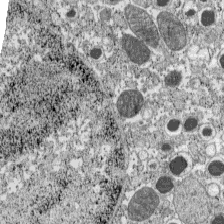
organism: C57BL Mouse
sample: Pancreatic islet